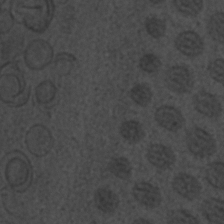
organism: C. elegans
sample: C. elegans embryo